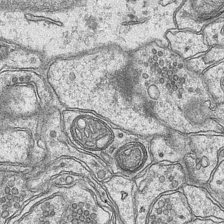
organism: Mouse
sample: CA1 Hippocampus